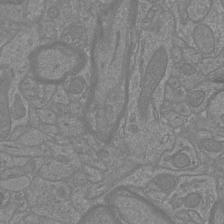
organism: Mouse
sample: Cortical neurons